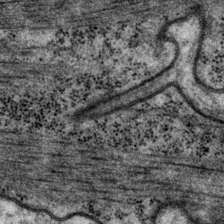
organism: P. pacificus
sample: Pharynx